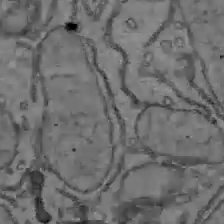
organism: C57BL Mouse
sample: Liver